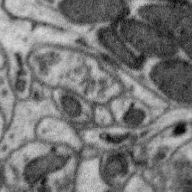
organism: Zebra finch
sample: Brain